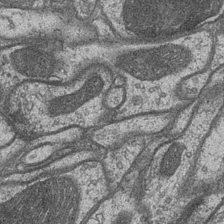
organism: Drosophila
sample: Optic medulla